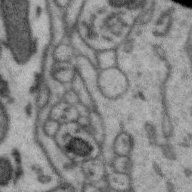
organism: Zebra finch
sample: Brain